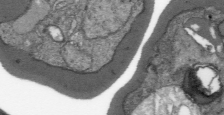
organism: Plasmodium falciparum